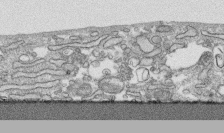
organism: Human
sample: CRL-1474